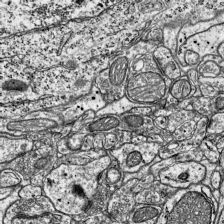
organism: Mouse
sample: Visual Cortex